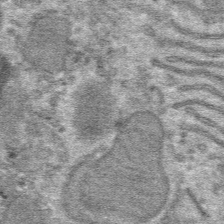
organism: Mouse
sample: Mouse hepatocytes